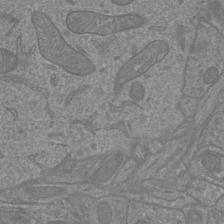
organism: Mouse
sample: Cortical neurons